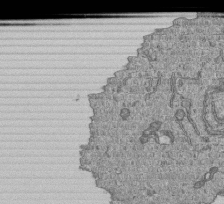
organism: Human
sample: MDA-MB-231 cells